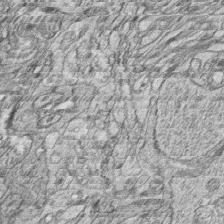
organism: Zebrafish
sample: synaptic ribbons in rod cells and cone cells